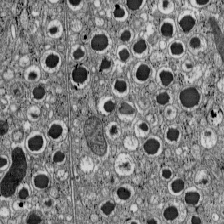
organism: C57BL Mouse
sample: Pancreatic islet